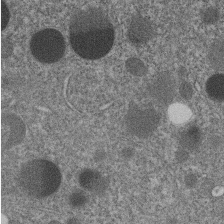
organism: C. elegans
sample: C. elegans embryo early stage